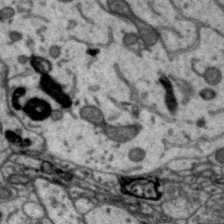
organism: Zebra finch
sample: Brain